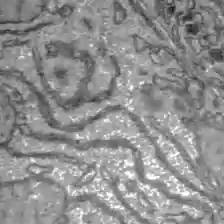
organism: C57BL Mouse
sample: Liver